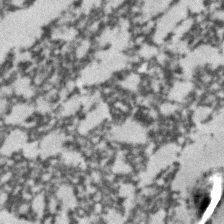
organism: C. elegans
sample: C. elegans embryo